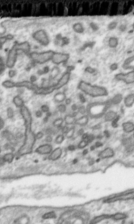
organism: Toxoplasma gondii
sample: Parasites in a vacuole inside a host cell